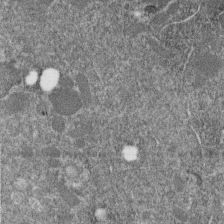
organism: C. elegans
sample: C. elegans embryo early stage